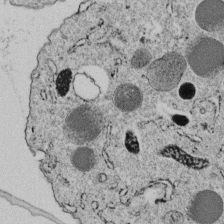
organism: C. elegans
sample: C. elegans embryo early stage